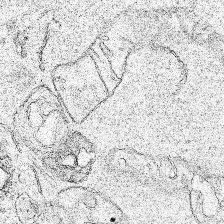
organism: Human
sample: Mitochondria in HCT116 cells